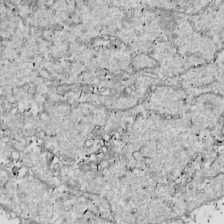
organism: Drosophila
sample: Cell division; meiosis; drosophila spermatocytes